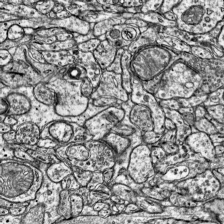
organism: Mouse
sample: Visual Cortex